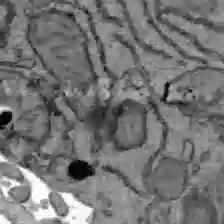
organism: C57BL Mouse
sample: Liver